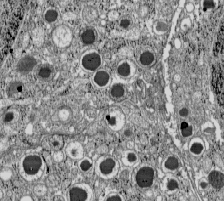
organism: C57BL Mouse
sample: Pancreatic islet